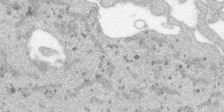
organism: Human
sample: Lung epithelial cells infected with SARS-CoV-2